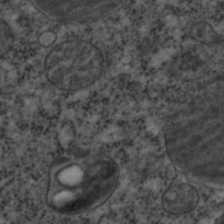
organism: C. elegans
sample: C. elegans embryo